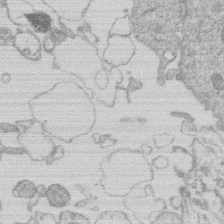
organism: Human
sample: Macrophage cells